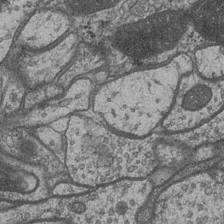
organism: Drosophila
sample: Optic medulla